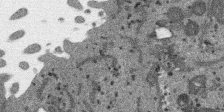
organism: Human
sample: Lung epithelial cells infected with SARS-CoV-2